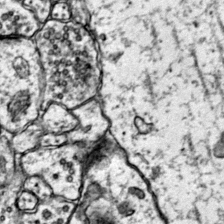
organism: Mouse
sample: Primary visual cortex